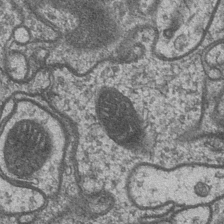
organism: Drosophila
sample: Optic medulla